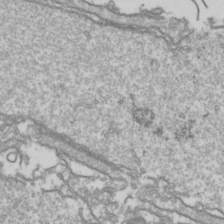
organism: Drosophila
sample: Cell division; meiosis; drosophila spermatocytes